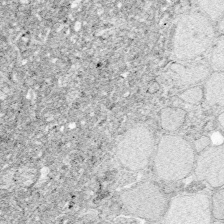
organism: Zebrafish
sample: Whole-Brain